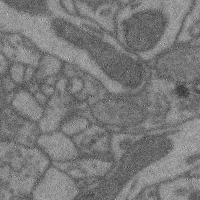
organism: Mouse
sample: Cerebral cortex